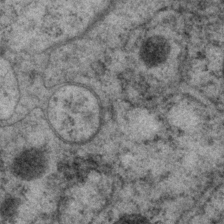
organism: P. pacificus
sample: Pharynx